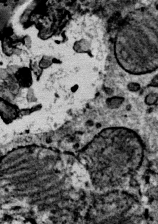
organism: Mouse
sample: Mouse Salivary gland